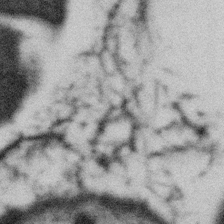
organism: Gemmata obscuriglobus